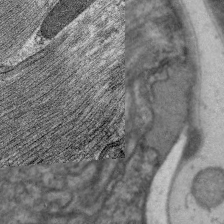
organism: C. elegans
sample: Pharynx